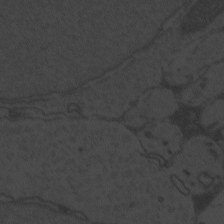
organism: Zebrafish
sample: Macrophage infected with Toxoplasma gondii